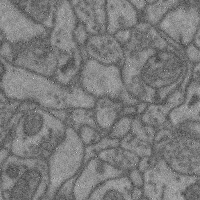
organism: Mouse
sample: Cerebral cortex